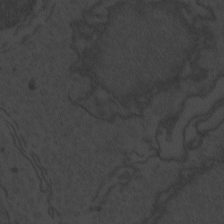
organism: Zebrafish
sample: Macrophage infected with Toxoplasma gondii